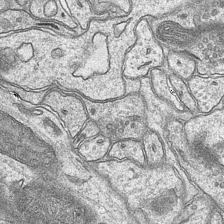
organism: Mouse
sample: CA1 Hippocampus